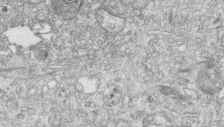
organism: Human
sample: HeLa cell HIV synapse